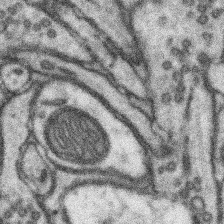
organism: Mouse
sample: Somatosensory cortex neuropil